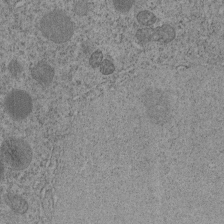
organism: C. elegans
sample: C. elegans embryo early stage